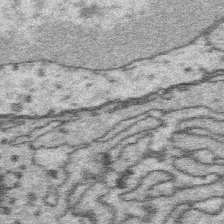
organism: Platynereis dumerilii